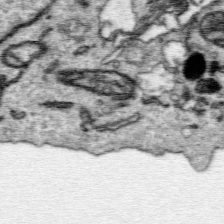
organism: Human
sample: HeLa cells